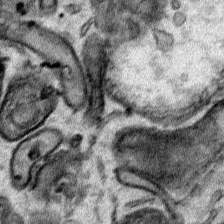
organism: Human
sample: Mitochondria in HCT116 cells